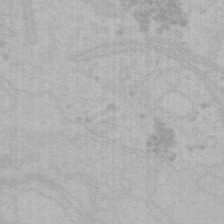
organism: Mouse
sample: Choroid plexus